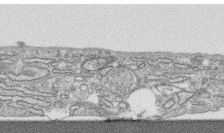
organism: Human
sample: CRL-1474